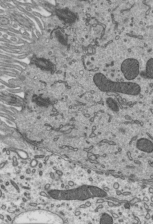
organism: Mouse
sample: Mouse epididymis efferent ductule cilia